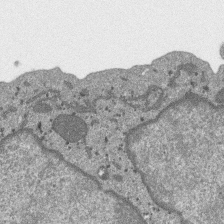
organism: Human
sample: Lung epithelial cells infected with SARS-CoV-2